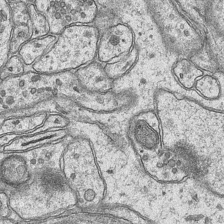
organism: Mouse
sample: CA1 Hippocampus